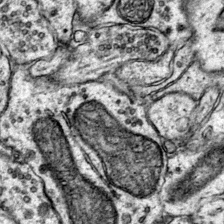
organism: Mouse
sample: Primary visual cortex